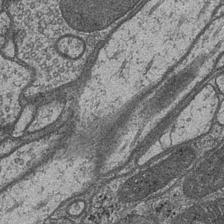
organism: Drosophila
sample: Optic medulla